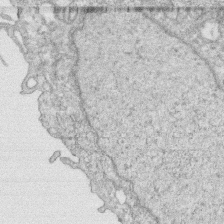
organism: Human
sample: HeLa cell HIV synapse